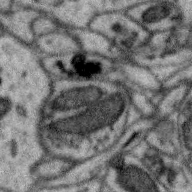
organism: Zebra finch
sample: Brain